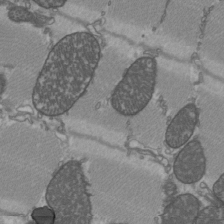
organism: C57BL Mouse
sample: Heart